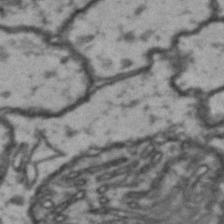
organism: Drosophila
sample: Brain